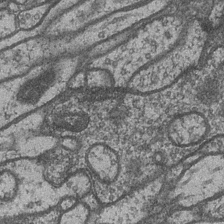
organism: Drosophila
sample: Optic medulla